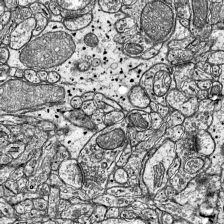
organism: Mouse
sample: Visual Cortex